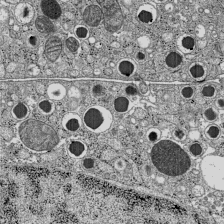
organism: C57BL Mouse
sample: Pancreatic islet